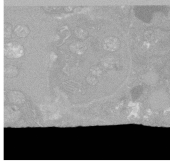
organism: C. elegans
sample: C. elegans oocyte; sperm cells